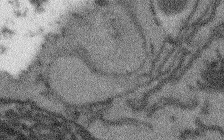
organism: Arabidopsis thaliana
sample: Root tip